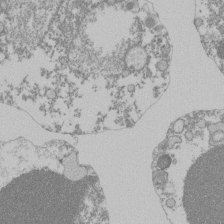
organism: Mouse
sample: Activated Pmel transgenic CD8+ T Cells